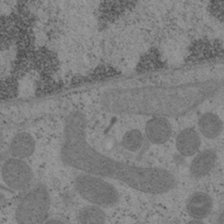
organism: Mouse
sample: OT-I killer T cells with ID8 ovarian cancer cells